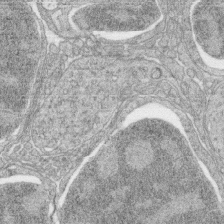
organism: Zebrafish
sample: synaptic ribbons in rod cells and cone cells